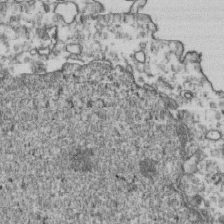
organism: Human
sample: Activated Jurkat CD4+ T cells